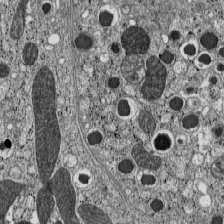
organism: C57BL Mouse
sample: Pancreatic islet